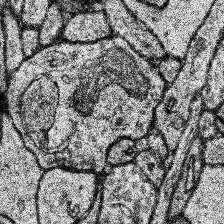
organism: Human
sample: Temporal Lobe